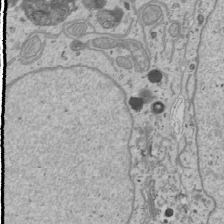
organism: Human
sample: Mitochondria in U2OS cells